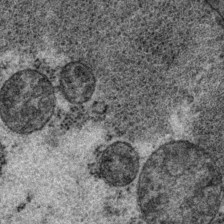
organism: P. pacificus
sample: Pharynx